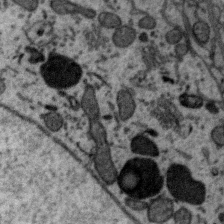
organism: Zebra finch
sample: Brain